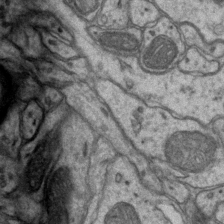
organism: Mouse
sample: CA1 Hippocampus